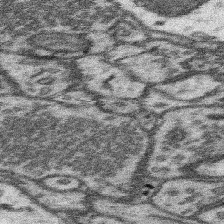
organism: Mouse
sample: Somatosensory cortex neuropil